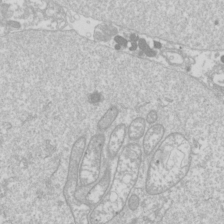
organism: Drosophila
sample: Cell division; meiosis; drosophila spermatocytes